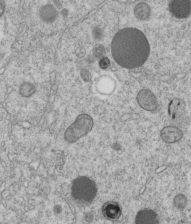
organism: C. elegans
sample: C. elegans embryo early stage